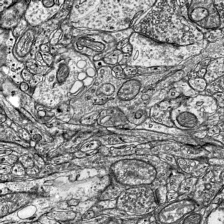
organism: Mouse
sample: Visual Cortex